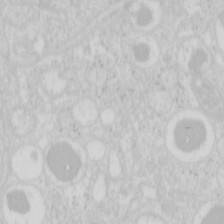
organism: Mouse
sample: Pancreas